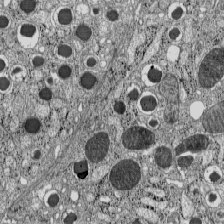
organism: C57BL Mouse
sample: Pancreatic islet